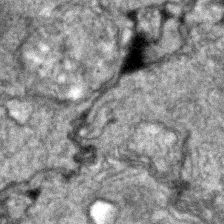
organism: Zebrafish